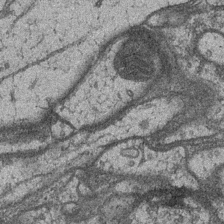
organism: Drosophila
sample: Optic medulla